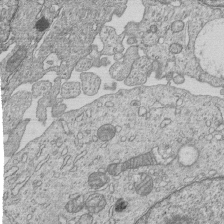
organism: Human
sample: MDA-MB-231 cells